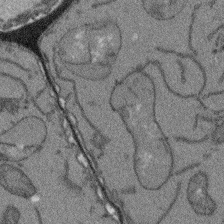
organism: Arabidopsis thaliana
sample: Root tip